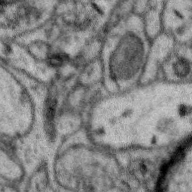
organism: Zebra finch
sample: Brain